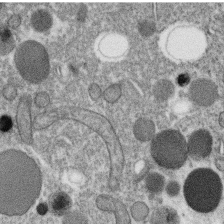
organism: C. elegans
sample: C. elegans oocyte; sperm cells